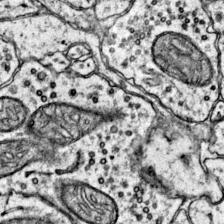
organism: Mouse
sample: Primary visual cortex